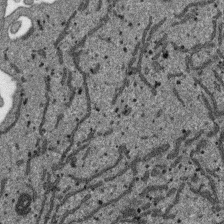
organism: Human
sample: Lung epithelial cells infected with SARS-CoV-2